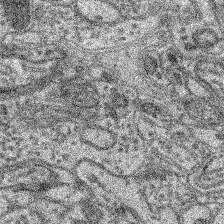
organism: Mouse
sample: Retina